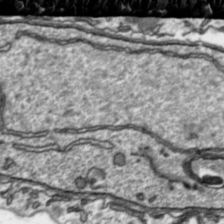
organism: Toxoplasma gondii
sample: Parasites in a vacuole inside a host cell